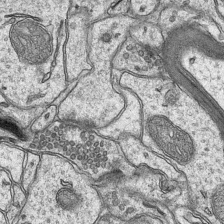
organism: Mouse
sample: CA1 Hippocampus